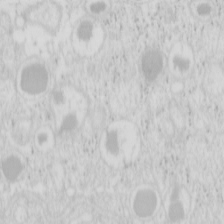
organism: Mouse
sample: Pancreas